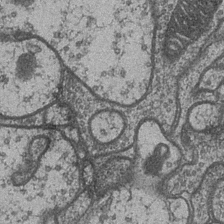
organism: Drosophila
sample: Optic medulla